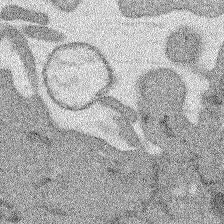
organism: Human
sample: HeLa cells